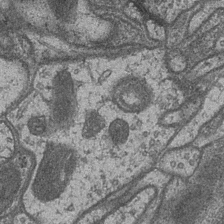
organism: Drosophila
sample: Optic medulla